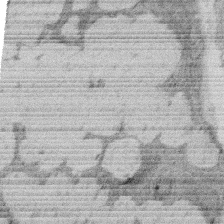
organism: Rat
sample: Salivary granule